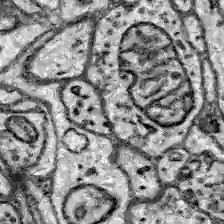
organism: Zebrafish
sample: Brain